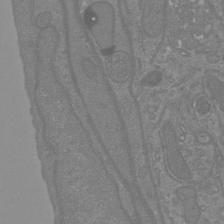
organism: Mouse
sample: Cortical neurons